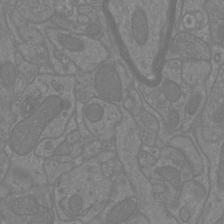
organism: Mouse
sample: Cortical neurons